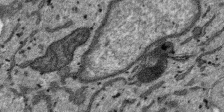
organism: Human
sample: Lung epithelial cells, uninfected (mock) control